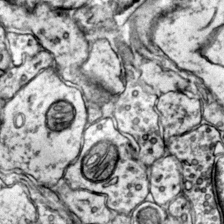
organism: Mouse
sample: Primary visual cortex